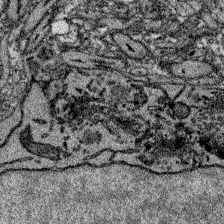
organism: Zebrafish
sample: Larval olfactory bulb